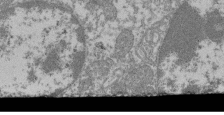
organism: Mouse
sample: Glomerulus